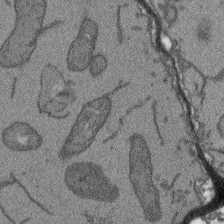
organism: Arabidopsis thaliana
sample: Root tip